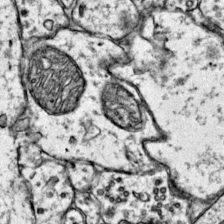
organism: Mouse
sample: Primary visual cortex